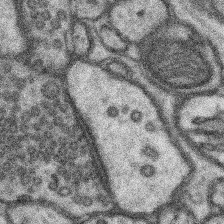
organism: Mouse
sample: Somatosensory cortex neuropil